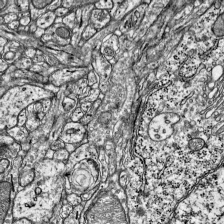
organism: Mouse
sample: Visual Cortex